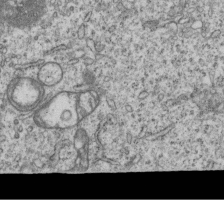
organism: Human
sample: MDA-MB-231 cells